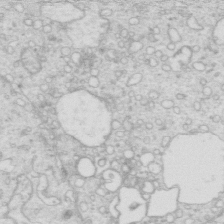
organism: Mouse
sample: Multiciliated cells